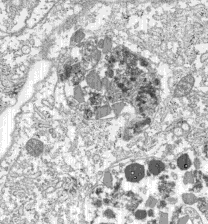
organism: C57BL Mouse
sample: Pancreatic islet